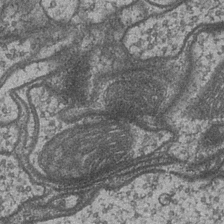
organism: Drosophila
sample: Optic medulla